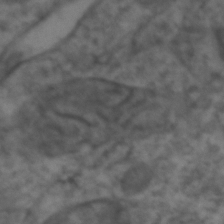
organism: Zebrafish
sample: Zebrafish embryo